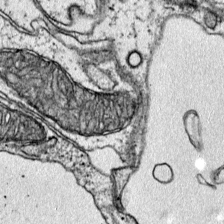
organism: Mouse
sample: Primary visual cortex